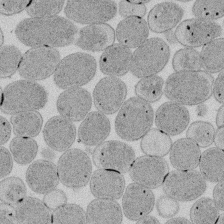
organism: E. coli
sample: Bacterial nucleoid